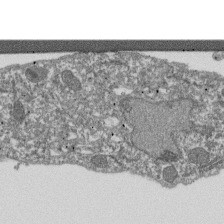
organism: Dictyostelium discoideum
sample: Dictyostelium multivesicular bodies